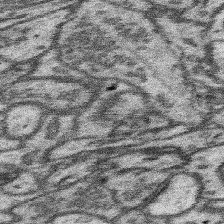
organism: Mouse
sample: Somatosensory cortex neuropil